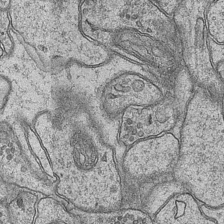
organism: Mouse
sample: CA1 Hippocampus